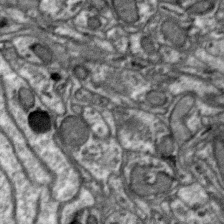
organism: Zebra finch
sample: Brain